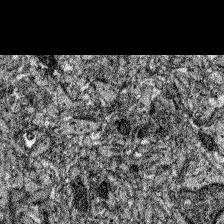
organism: Zebrafish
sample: Larval olfactory bulb